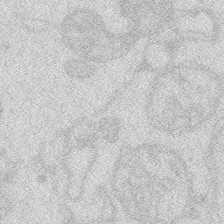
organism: Zebrafish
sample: Macrophage